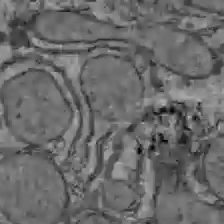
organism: C57BL Mouse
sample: Liver